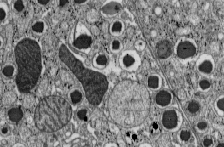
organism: C57BL Mouse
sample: Pancreatic islet